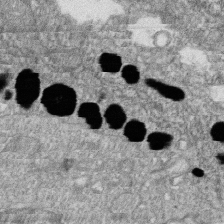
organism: Zebrafish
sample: Cilia; retinal pigment epithelium